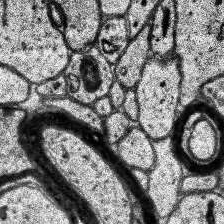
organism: Human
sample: Temporal Lobe